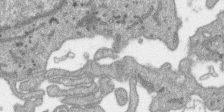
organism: Human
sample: Lung epithelial cells infected with SARS-CoV-2